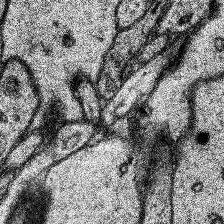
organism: Human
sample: Temporal Lobe